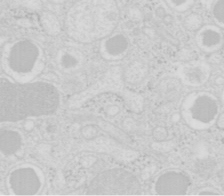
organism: Mouse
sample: Pancreas